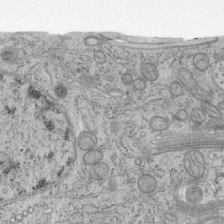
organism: Human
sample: HeLa cells